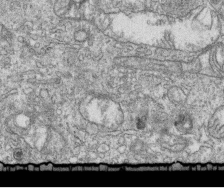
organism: Human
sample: HeLa cell HIV synapse